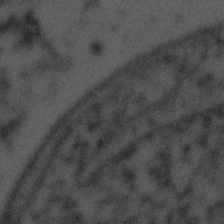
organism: Tuwongella immobilis